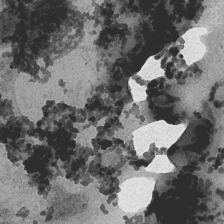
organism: Drosophila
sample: Optic medulla